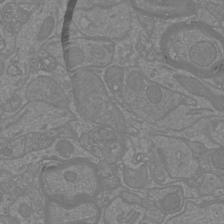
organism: Mouse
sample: Cortical neurons